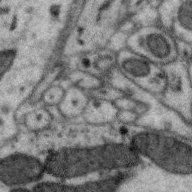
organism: Zebra finch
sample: Brain